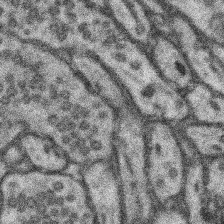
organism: Mouse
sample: Somatosensory cortex neuropil